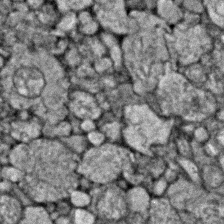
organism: Zebrafish